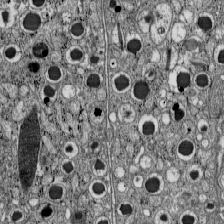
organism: C57BL Mouse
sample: Pancreatic islet